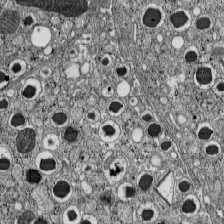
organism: C57BL Mouse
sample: Pancreatic islet